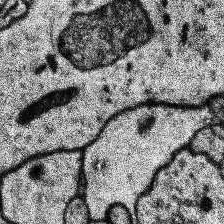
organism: Human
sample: Temporal Lobe